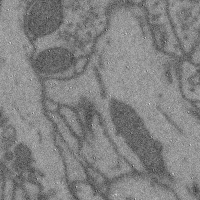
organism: Mouse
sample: Cerebral cortex